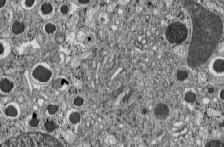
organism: C57BL Mouse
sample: Pancreatic islet